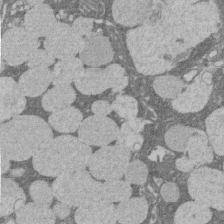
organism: Rat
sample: Salivary granule